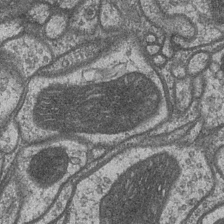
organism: Drosophila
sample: Optic medulla